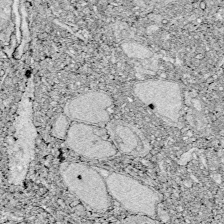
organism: Zebrafish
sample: Whole-Brain